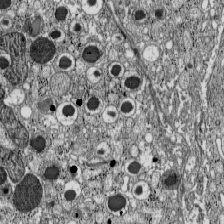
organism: C57BL Mouse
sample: Pancreatic islet